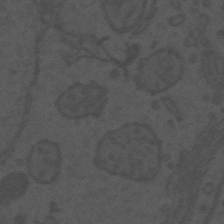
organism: Mouse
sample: Suprachiasmatic nucleus